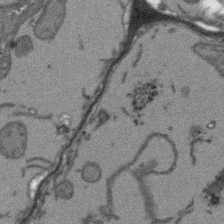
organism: Arabidopsis thaliana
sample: Root tip